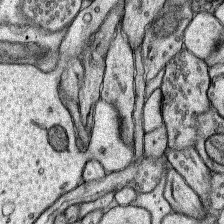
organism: Rat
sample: Hippocampus